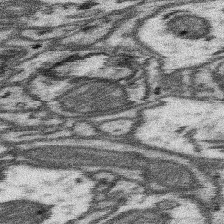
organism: Mouse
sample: Somatosensory cortex neuropil